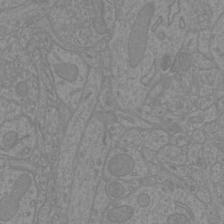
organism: Mouse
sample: Cortical neurons